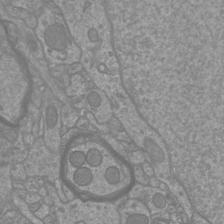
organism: Mouse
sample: Cortical neurons